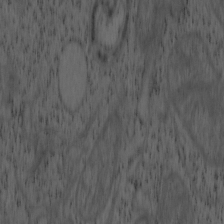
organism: Human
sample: HeLa cells